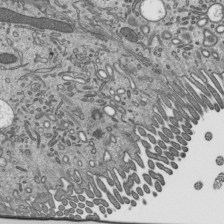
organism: Mouse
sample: Mouse epididymis efferent ductule cilia